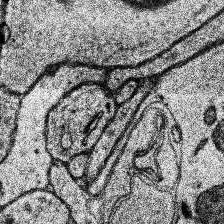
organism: Human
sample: Temporal Lobe